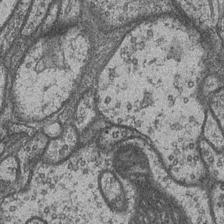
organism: Drosophila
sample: Optic medulla